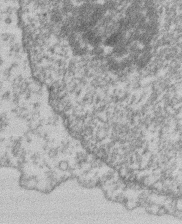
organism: Mouse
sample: T cell stromal cell synapse